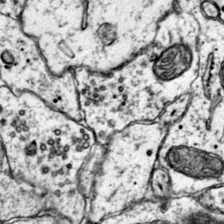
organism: Mouse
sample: Primary visual cortex